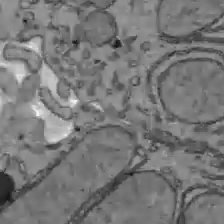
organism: C57BL Mouse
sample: Liver